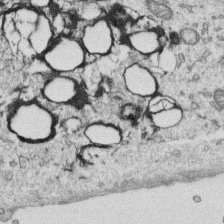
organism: Human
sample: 1205lu cells